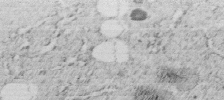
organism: C. elegans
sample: C. elegans embryo early stage